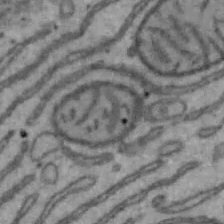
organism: Mouse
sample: Liver